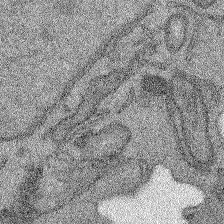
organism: Human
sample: HeLa cells